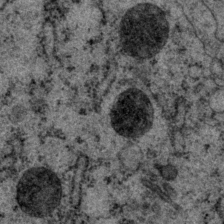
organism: P. pacificus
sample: Pharynx